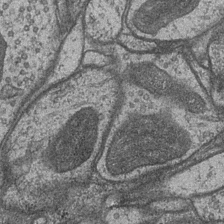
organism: Drosophila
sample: Optic medulla